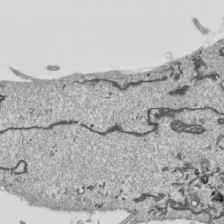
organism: Human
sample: Mitochondria in HCT116 cells